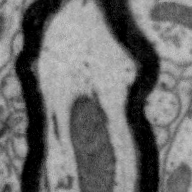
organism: Zebra finch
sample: Brain